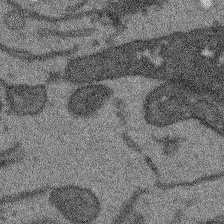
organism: Arabidopsis thaliana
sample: Root tip